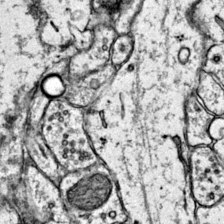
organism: Mouse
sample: Primary visual cortex